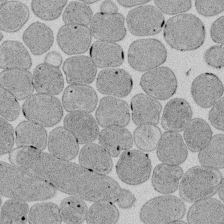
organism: E. coli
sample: Bacterial nucleoid